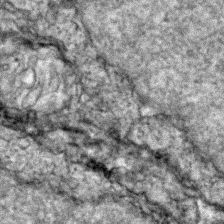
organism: Zebrafish